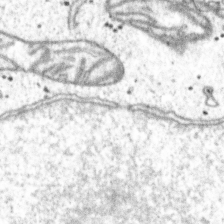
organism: Human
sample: HeLa cells